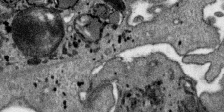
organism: Human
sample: Lung epithelial cells, uninfected (mock) control